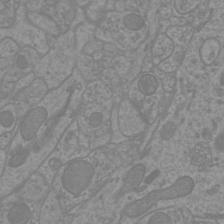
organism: Mouse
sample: Cortical neurons